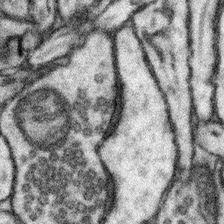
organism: Mouse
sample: Somatosensory cortex neuropil